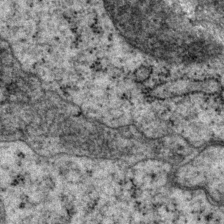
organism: P. pacificus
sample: Pharynx